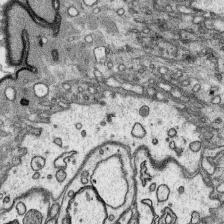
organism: Platynereis dumerilii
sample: Parapodia